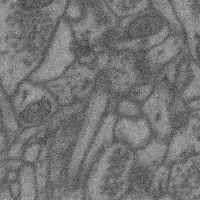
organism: Mouse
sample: Cerebral cortex